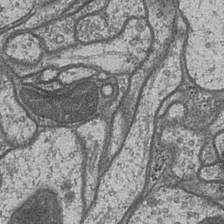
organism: Drosophila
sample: Optic medulla